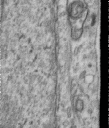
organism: Human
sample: Centriole in RPE cells